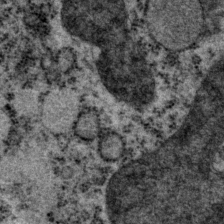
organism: P. pacificus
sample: Pharynx